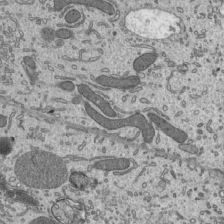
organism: Mouse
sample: Mouse epididymis efferent ductule cilia